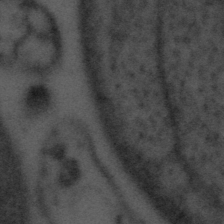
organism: Tuwongella immobilis